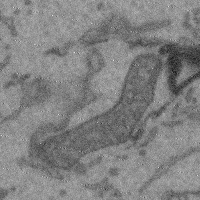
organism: Mouse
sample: Cerebral cortex